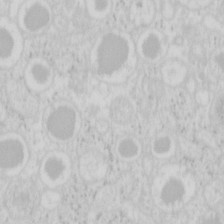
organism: Mouse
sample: Pancreas